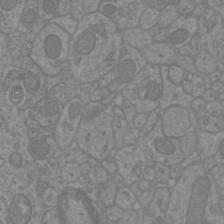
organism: Mouse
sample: Cortical neurons